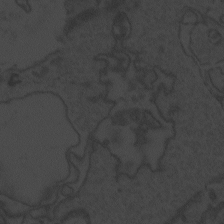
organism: Zebrafish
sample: Macrophage infected with Toxoplasma gondii